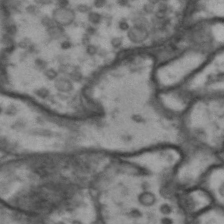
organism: Drosophila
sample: Brain